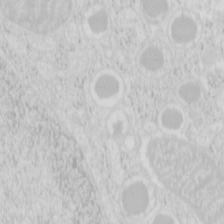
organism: Mouse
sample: Pancreas